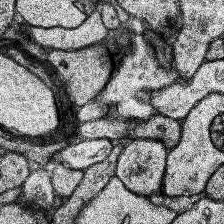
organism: Human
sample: Temporal Lobe